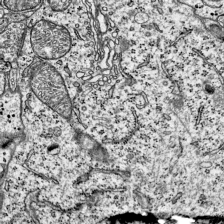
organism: Mouse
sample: Visual Cortex